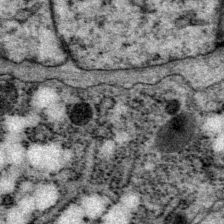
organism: P. pacificus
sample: Pharynx